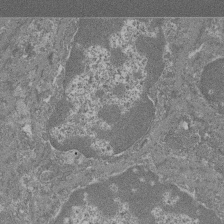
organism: Mouse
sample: Glomerulus